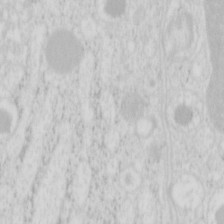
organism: Mouse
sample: Pancreas